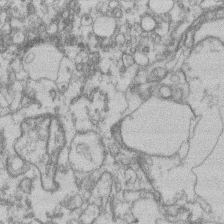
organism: Mouse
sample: T cell stromal cell synapse